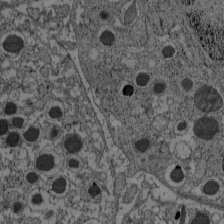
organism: C57BL Mouse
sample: Pancreatic islet